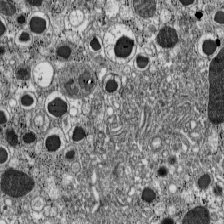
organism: C57BL Mouse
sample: Pancreatic islet